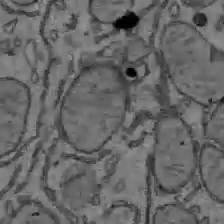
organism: C57BL Mouse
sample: Liver